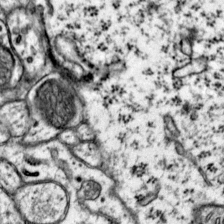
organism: Mouse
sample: Primary visual cortex